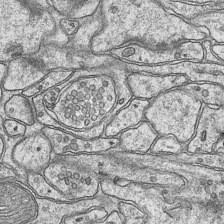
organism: Mouse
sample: CA1 Hippocampus